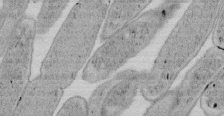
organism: E. coli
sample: Bacterial nucleoid